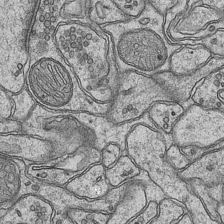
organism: Mouse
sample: CA1 Hippocampus